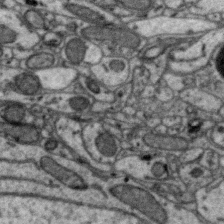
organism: Zebra finch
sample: Brain